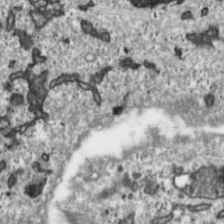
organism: Toxoplasma gondii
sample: Parasites in a vacuole inside a host cell